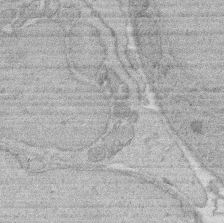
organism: Rat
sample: Salivary granule